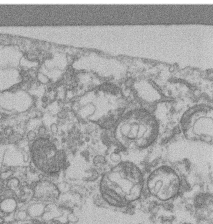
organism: Mouse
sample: T cell stromal cell synapse